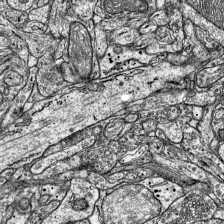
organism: Mouse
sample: Visual Cortex